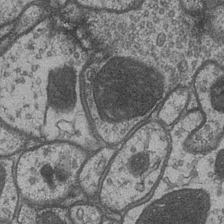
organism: Drosophila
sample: Optic medulla